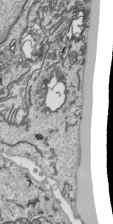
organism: Human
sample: Mitochondria in HCT116 cells